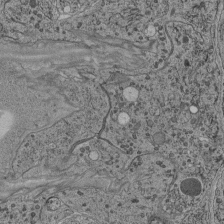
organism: C. elegans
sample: C. elegans pharynx